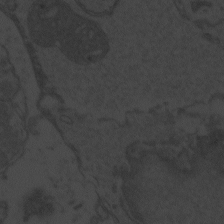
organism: Zebrafish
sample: Macrophage infected with Toxoplasma gondii